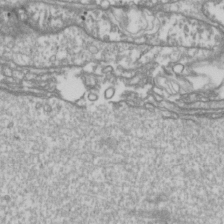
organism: Drosophila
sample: Cell division; meiosis; drosophila spermatocytes